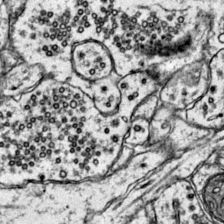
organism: Mouse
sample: Primary visual cortex